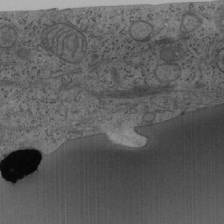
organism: Human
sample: HeLa cells